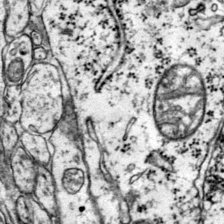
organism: Mouse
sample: Primary visual cortex